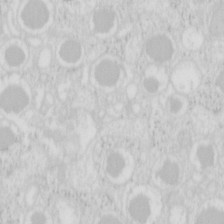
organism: Mouse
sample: Pancreas